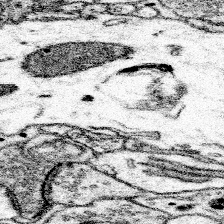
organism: Mouse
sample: Somatosensory cortex neuropil